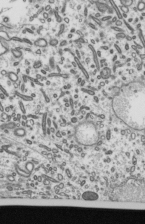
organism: Mouse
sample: Mouse epididymis efferent ductule cilia